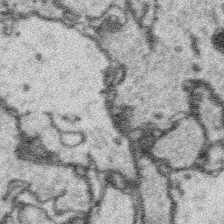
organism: Platynereis dumerilii